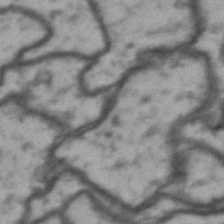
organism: Drosophila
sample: Brain